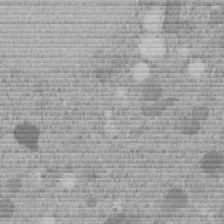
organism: C. elegans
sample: C. elegans embryo early stage